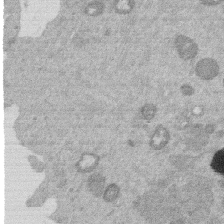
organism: Mouse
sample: Dividing mouse embryo 1 cell stage